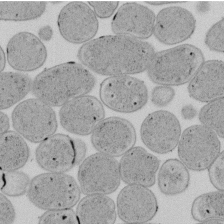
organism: E. coli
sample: Bacterial nucleoid